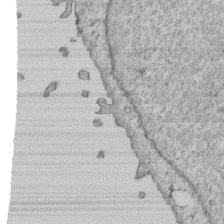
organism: Human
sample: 1205lu cells